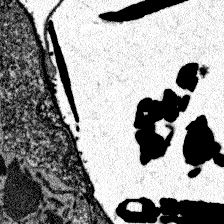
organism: Zebrafish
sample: Larval olfactory bulb